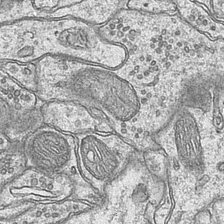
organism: Mouse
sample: CA1 Hippocampus